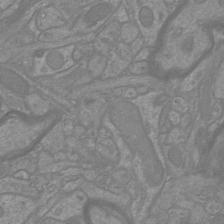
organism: Mouse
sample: Cortical neurons